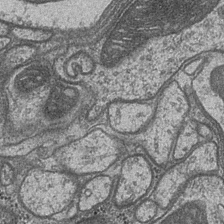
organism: Drosophila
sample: Optic medulla